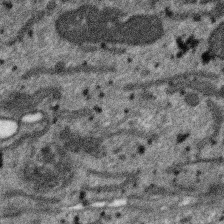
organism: Human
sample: Lung epithelial cells infected with SARS-CoV-2